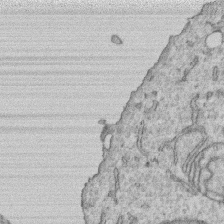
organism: Human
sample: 1205lu cells